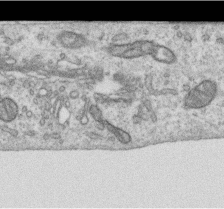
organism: Human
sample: Centriole in RPE cells